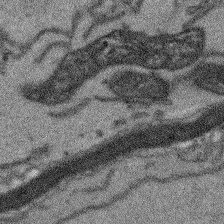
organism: Arabidopsis thaliana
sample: Root tip